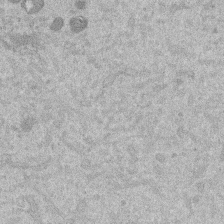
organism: Mouse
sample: Dividing mouse embryo 1 cell stage